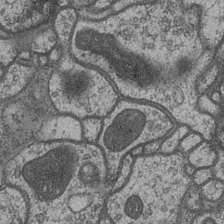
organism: Drosophila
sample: Optic medulla